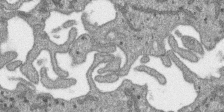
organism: Human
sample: Lung epithelial cells infected with SARS-CoV-2